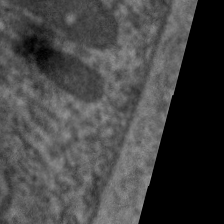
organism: C. elegans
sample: Pharynx